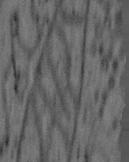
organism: Human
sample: HeLa cells